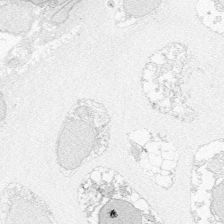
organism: Zebrafish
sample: Whole-Brain